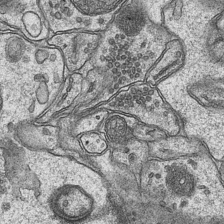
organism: Mouse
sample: CA1 Hippocampus